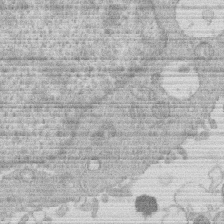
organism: Human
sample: Macrophage cells